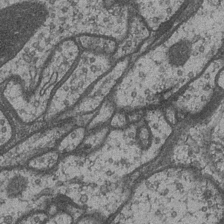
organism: Drosophila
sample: Optic medulla